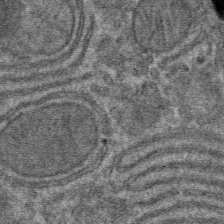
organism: Mouse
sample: Mouse hepatocytes